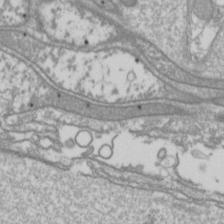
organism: Drosophila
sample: Cell division; meiosis; drosophila spermatocytes